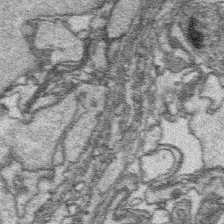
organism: Platynereis dumerilii